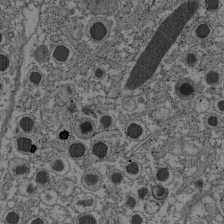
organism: C57BL Mouse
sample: Pancreatic islet